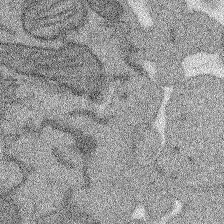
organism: Human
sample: HeLa cells